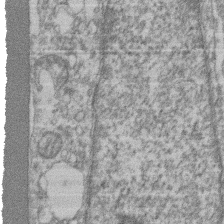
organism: Mouse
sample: T cell stromal cell synapse